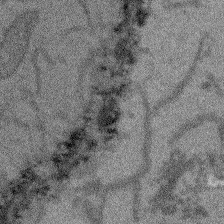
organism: Arabidopsis thaliana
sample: Root tip